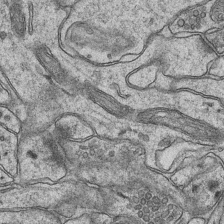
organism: Mouse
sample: CA1 Hippocampus